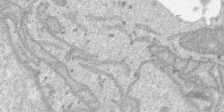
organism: Human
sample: Lung epithelial cells infected with SARS-CoV-2